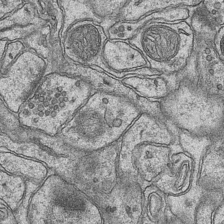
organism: Mouse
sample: CA1 Hippocampus